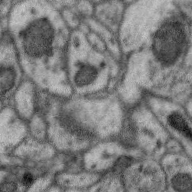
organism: Zebra finch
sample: Brain